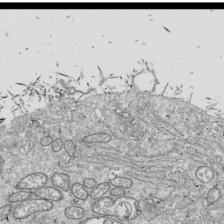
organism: Drosophila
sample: Cell division; meiosis; drosophila spermatocytes